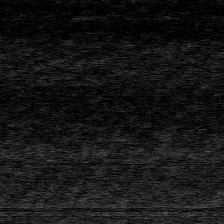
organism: Human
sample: HeLa cells